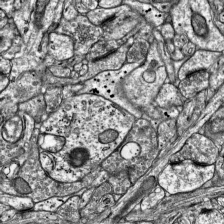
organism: Mouse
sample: Visual Cortex